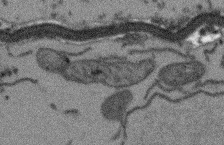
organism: Arabidopsis thaliana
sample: Root tip